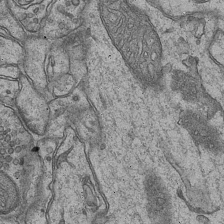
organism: Mouse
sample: CA1 Hippocampus